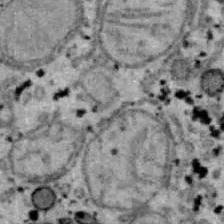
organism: Mouse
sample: Liver from an obese (ob/ob) mouse